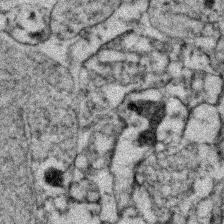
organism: Zebrafish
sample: Zebrafish embryo